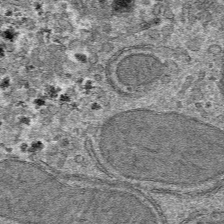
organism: Mouse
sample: Mouse hepatocytes